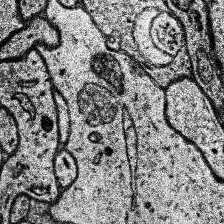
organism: Human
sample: Temporal Lobe